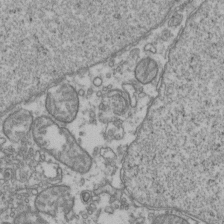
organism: Human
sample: Activated Jurkat CD4+ T cells